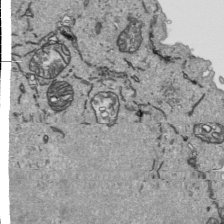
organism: Human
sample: Mitochondria in HCT116 cells